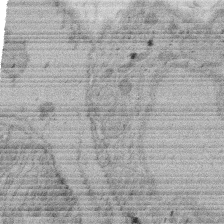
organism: Rat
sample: Salivary granule